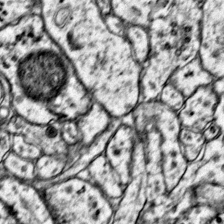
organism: Mouse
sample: Primary visual cortex